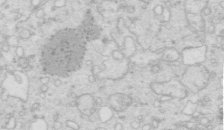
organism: Mouse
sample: Multiciliated cells